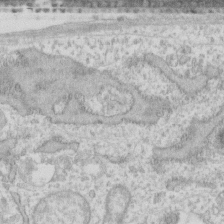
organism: Human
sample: Fibroblast cells